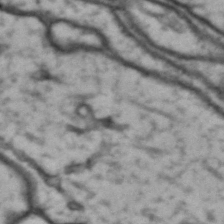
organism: Drosophila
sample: Brain